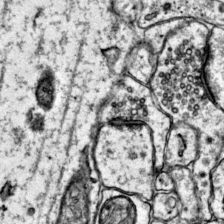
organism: Mouse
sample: Primary visual cortex